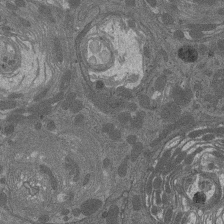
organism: Drosophila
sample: Antenna